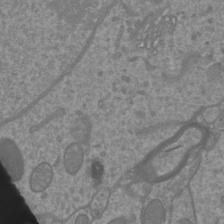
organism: Mouse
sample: Cortical neurons